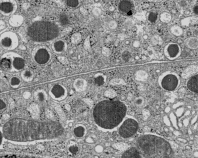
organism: C57BL Mouse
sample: Pancreatic islet